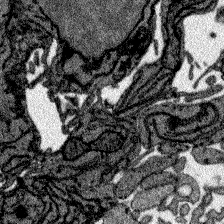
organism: Zebrafish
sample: Larval olfactory bulb